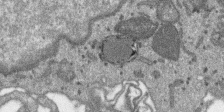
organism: Human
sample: Lung epithelial cells infected with SARS-CoV-2